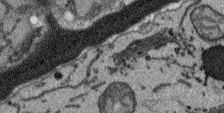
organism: Arabidopsis thaliana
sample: Root tip